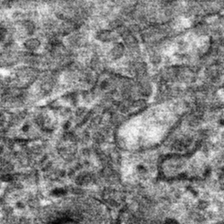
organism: Mouse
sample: Mouse hepatocytes